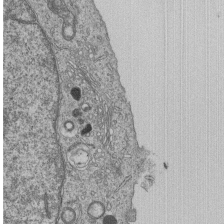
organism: Human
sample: MDA-MB-231 cells